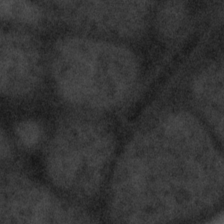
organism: Tuwongella immobilis